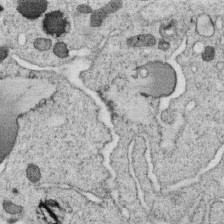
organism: C. elegans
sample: C. elegans oocyte; sperm cells